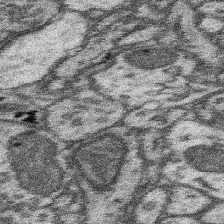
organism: Mouse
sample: Somatosensory cortex neuropil